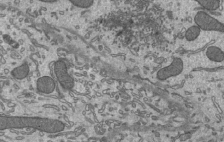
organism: Mouse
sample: Mouse epididymis efferent ductule cilia